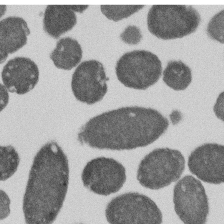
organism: E. coli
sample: Bacterial nucleoid